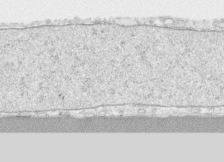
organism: Human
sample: CRL-1474